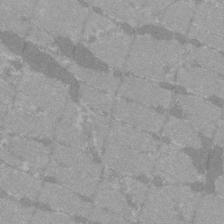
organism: C57BL Mouse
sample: Tibialis anterior muscle cell